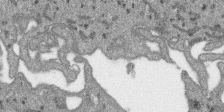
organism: Human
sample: Lung epithelial cells infected with SARS-CoV-2